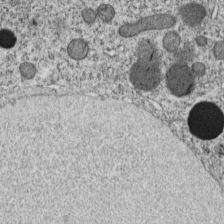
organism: C. elegans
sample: C. elegans embryo early stage